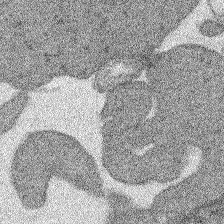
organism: Human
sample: HeLa cells